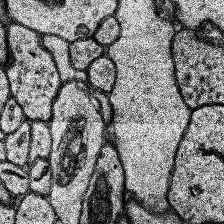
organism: Human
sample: Temporal Lobe